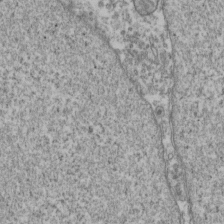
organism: Human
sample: Activated Jurkat CD4+ T cells